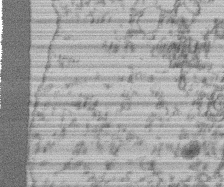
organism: Mouse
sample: T cell stromal cell synapse